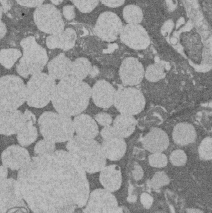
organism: Rat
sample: Salivary granule